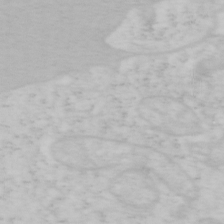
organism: Mouse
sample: OT-I killer T cells with ID8 ovarian cancer cells